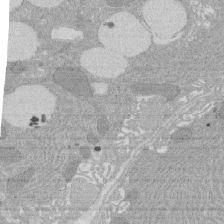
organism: Rat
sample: Salivary granule